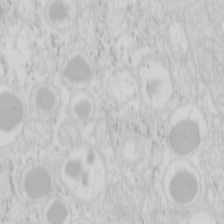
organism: Mouse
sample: Pancreas